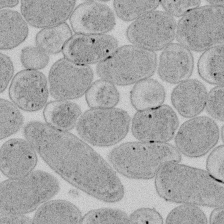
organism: E. coli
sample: Bacterial nucleoid